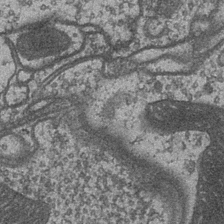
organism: Drosophila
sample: Optic medulla